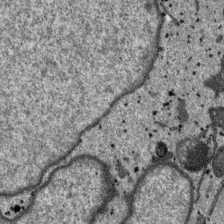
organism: Human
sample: Lung epithelial cells, uninfected (mock) control